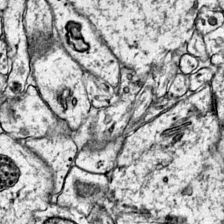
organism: Mouse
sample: Primary visual cortex